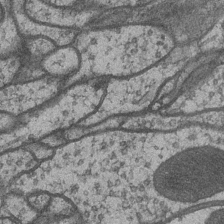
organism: Drosophila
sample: Optic medulla